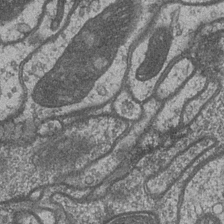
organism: Drosophila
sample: Optic medulla